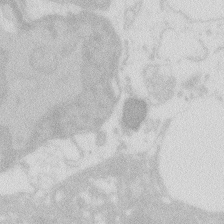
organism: Zebrafish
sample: Macrophage